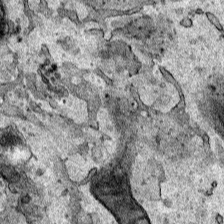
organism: Human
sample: Mitochondria in HCT116 cells